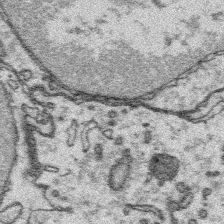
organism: Platynereis dumerilii